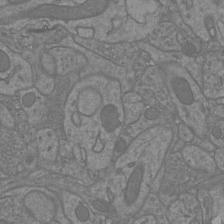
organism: Mouse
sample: Cortical neurons